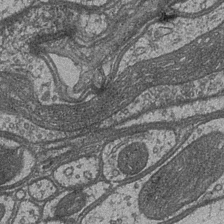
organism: Drosophila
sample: Optic medulla